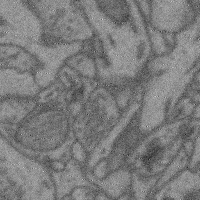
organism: Mouse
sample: Cerebral cortex